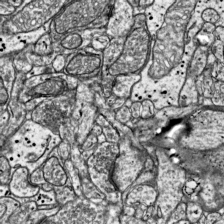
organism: Mouse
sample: Visual Cortex